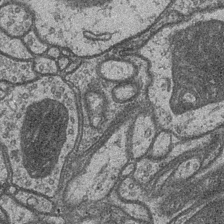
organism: Drosophila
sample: Optic medulla